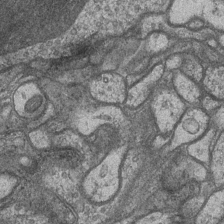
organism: Drosophila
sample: Optic medulla